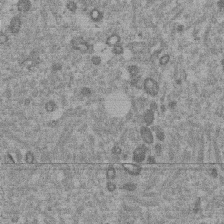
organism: Mouse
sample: Dividing mouse embryo 1 cell stage